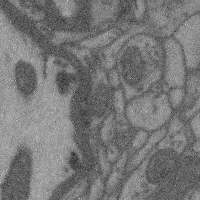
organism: Mouse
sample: Cerebral cortex